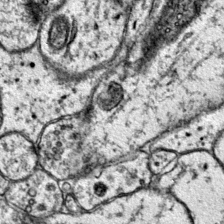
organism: Mouse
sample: Primary visual cortex